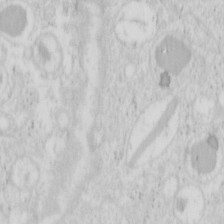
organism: Mouse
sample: Pancreas